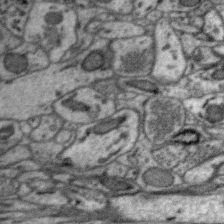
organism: Zebra finch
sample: Brain